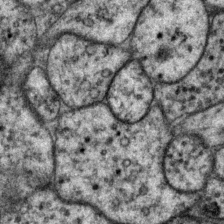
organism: P. pacificus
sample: Pharynx